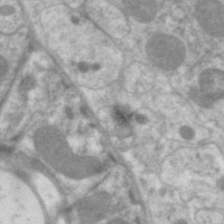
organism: C. elegans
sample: Pharynx